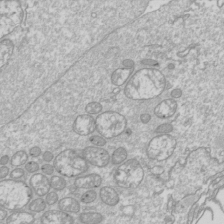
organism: Drosophila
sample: Cell division; meiosis; drosophila spermatocytes